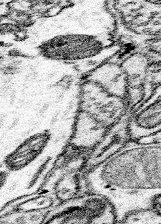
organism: Mouse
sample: Somatosensory cortex neuropil